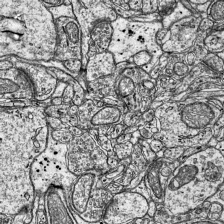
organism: Mouse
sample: Visual Cortex